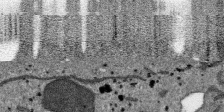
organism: Human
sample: Lung epithelial cells, uninfected (mock) control